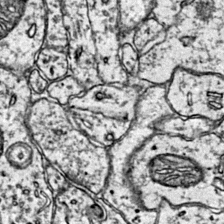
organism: Mouse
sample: Primary visual cortex